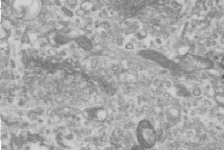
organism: Human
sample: Centriole in RPE cells